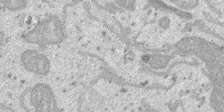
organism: Human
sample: Lung epithelial cells infected with SARS-CoV-2